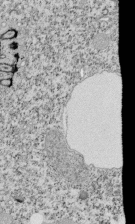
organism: Tetrahymena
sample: Cilia in tetrahymena